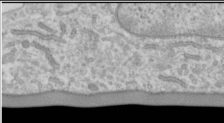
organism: Human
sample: Cilia; basal body in RPE cells